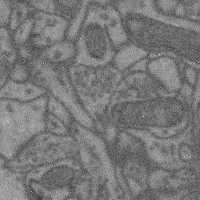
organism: Mouse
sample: Cerebral cortex